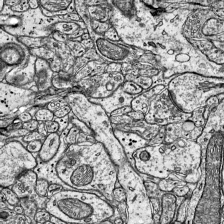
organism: Mouse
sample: Visual Cortex